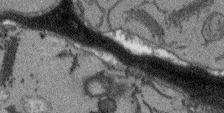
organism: Arabidopsis thaliana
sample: Root tip